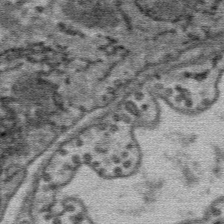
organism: Mouse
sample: Mouse Salivary gland